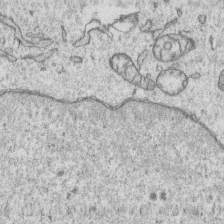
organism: Human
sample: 1205lu cells